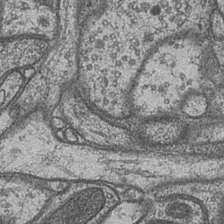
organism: Drosophila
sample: Optic medulla